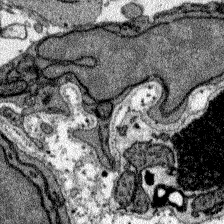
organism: Zebrafish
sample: Larval olfactory bulb